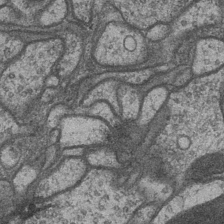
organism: Drosophila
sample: Optic medulla